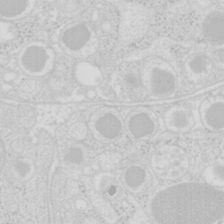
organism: Mouse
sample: Pancreas